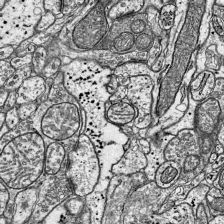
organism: Mouse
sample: Visual Cortex